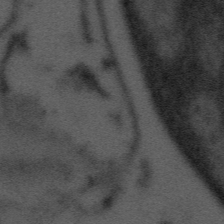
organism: Tuwongella immobilis